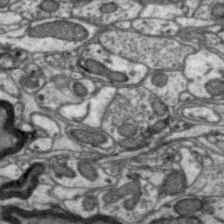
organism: Zebra finch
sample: Brain